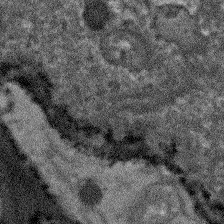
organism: Arabidopsis thaliana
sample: Root tip